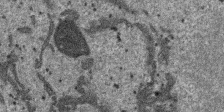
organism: Human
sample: Lung epithelial cells infected with SARS-CoV-2